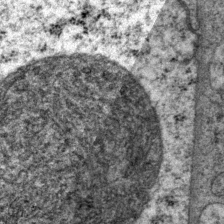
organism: P. pacificus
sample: Pharynx